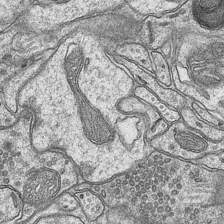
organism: Mouse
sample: CA1 Hippocampus